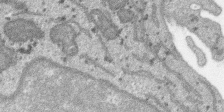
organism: Human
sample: Lung epithelial cells infected with SARS-CoV-2